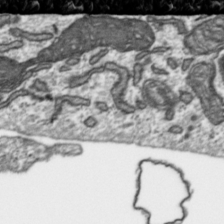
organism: Toxoplasma gondii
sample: Parasites in a vacuole inside a host cell